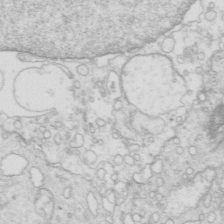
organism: Mouse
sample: Multiciliated cells